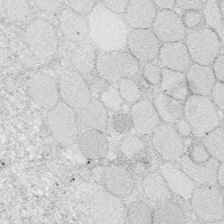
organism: Zebrafish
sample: Whole-Brain